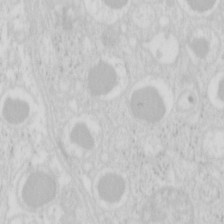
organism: Mouse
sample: Pancreas